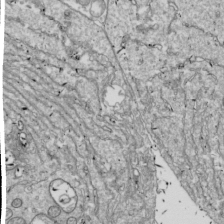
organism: Drosophila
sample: Cell division; meiosis; drosophila spermatocytes